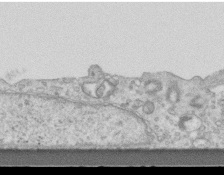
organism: Mouse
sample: Centriole in ependymal cells